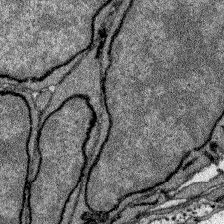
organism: Zebrafish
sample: Larval olfactory bulb